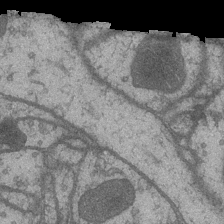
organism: Drosophila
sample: Optic medulla